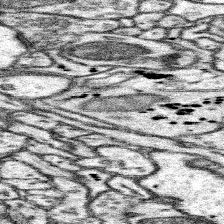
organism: Mouse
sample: Somatosensory cortex neuropil